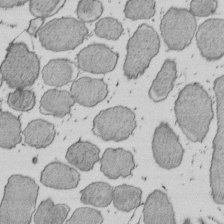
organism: E. coli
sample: Bacterial nucleoid